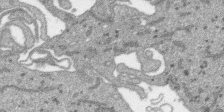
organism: Human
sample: Lung epithelial cells infected with SARS-CoV-2